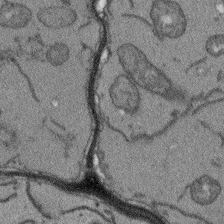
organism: Arabidopsis thaliana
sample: Root tip